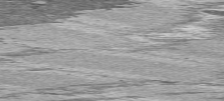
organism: C57BL Mouse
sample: Heart